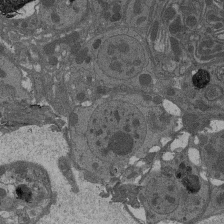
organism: Drosophila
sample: Antenna